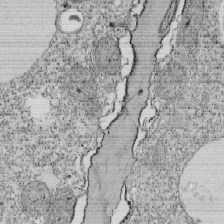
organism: Tetrahymena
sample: Cilia in tetrahymena